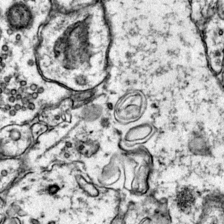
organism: Mouse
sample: Primary visual cortex